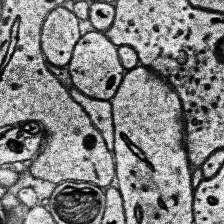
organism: Human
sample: Temporal Lobe